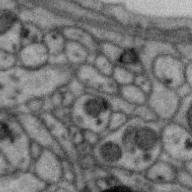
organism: Zebra finch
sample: Brain